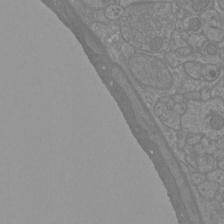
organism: Mouse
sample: Cortical neurons